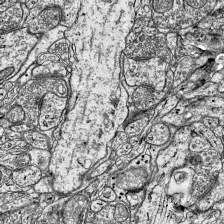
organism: Mouse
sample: Visual Cortex